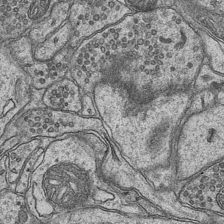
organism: Mouse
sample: CA1 Hippocampus